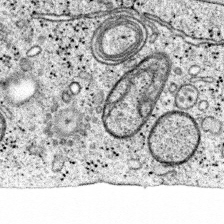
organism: Human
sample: HeLa cells